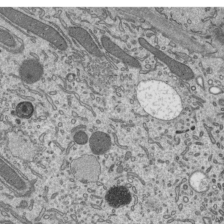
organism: Mouse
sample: Mouse epididymis efferent ductule cilia